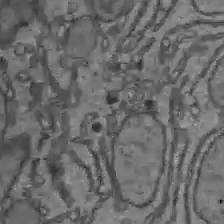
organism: C57BL Mouse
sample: Liver